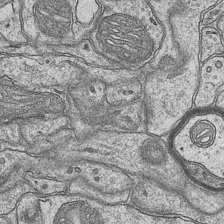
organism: Mouse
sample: CA1 Hippocampus